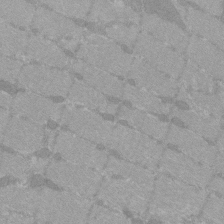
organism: C57BL Mouse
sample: Tibialis anterior muscle cell